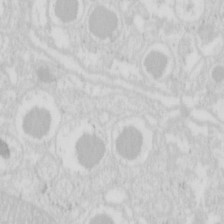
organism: Mouse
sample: Pancreas